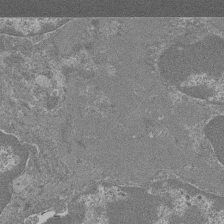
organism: Mouse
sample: Glomerulus